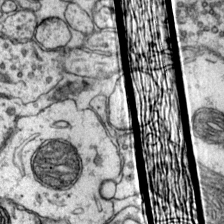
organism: Mouse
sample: Primary visual cortex